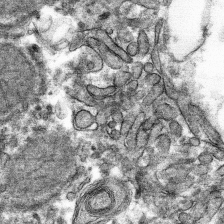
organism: Mouse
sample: Mouse hepatocytes